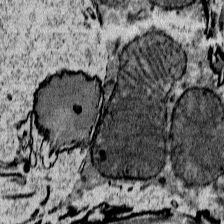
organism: Mouse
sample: Mouse Salivary gland